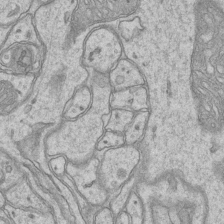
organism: Mouse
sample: CA1 Hippocampus